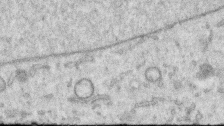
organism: Human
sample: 1205lu cells